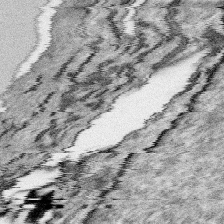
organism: Human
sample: HeLa cells